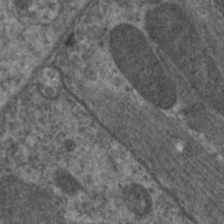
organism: C. elegans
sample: Pharynx